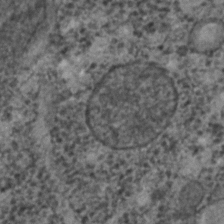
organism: C. elegans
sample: C. elegans embryo